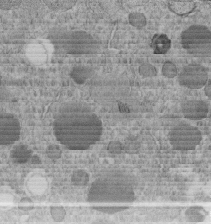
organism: C. elegans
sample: C. elegans embryo early stage